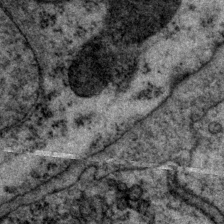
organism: P. pacificus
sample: Pharynx